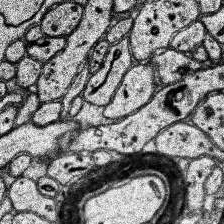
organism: Human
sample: Temporal Lobe